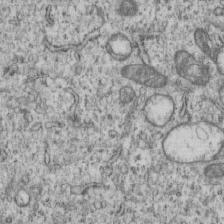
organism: Human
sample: MDA-MB-231 cells